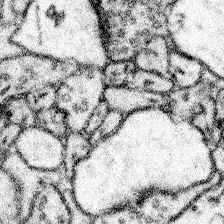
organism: Mouse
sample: Somatosensory cortex neuropil